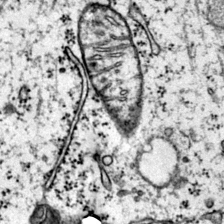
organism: Mouse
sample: Primary visual cortex